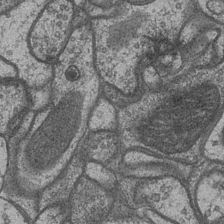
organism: Drosophila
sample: Optic medulla